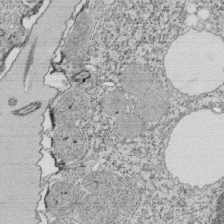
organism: Tetrahymena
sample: Cilia in tetrahymena